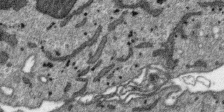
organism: Human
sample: Lung epithelial cells, uninfected (mock) control